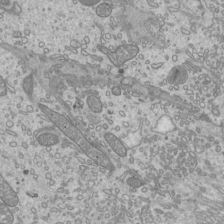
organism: Mouse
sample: Cilia; mouse epididymis